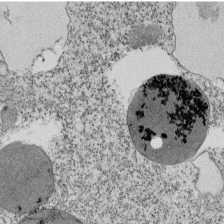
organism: Tetrahymena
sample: Cilia in tetrahymena